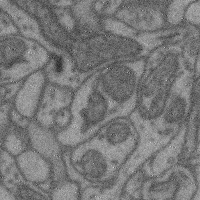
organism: Mouse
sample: Cerebral cortex